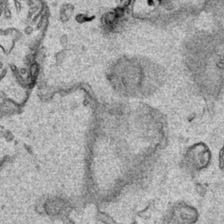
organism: Human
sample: Mitochondria in HCT116 cells